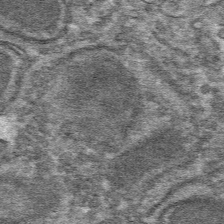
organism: Mouse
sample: Mouse hepatocytes